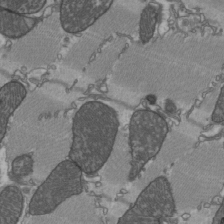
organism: C57BL Mouse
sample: Heart